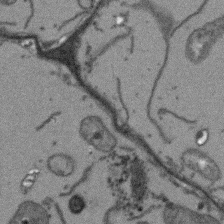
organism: Arabidopsis thaliana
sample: Root tip